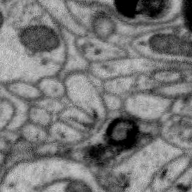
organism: Zebra finch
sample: Brain